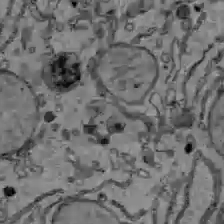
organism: C57BL Mouse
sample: Liver